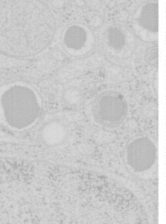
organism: Mouse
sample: Pancreas